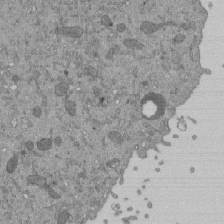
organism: Mouse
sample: ED-1 cell nuclei; centrioles